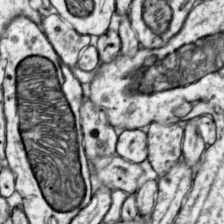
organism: Mouse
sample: Primary visual cortex